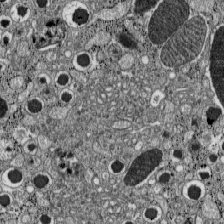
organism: C57BL Mouse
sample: Pancreatic islet